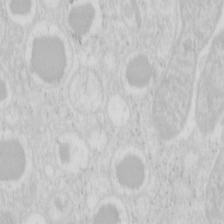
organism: Mouse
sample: Pancreas